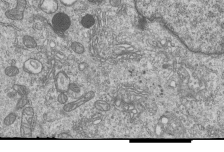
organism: Human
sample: MDA-MB-231 cells